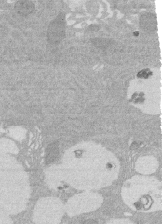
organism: Rat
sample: Salivary granule